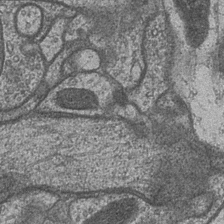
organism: Drosophila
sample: Optic medulla